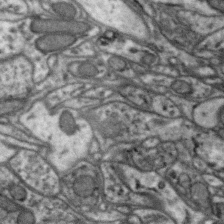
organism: Zebra finch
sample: Brain